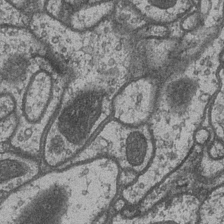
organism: Drosophila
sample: Optic medulla